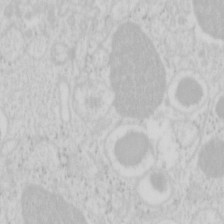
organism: Mouse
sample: Pancreas